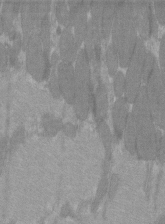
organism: C57BL Mouse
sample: Tibialis anterior muscle cell